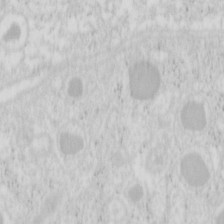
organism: Mouse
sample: Pancreas